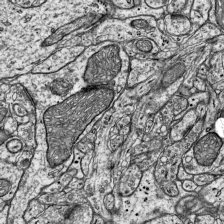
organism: Mouse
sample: Visual Cortex